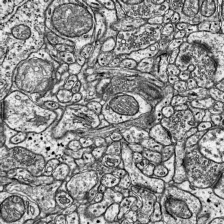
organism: Mouse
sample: Visual Cortex